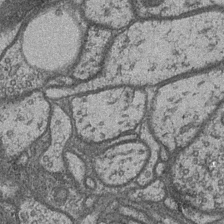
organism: Drosophila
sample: Optic medulla